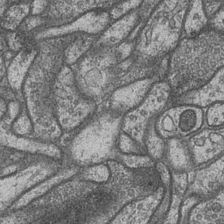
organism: Drosophila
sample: Optic medulla